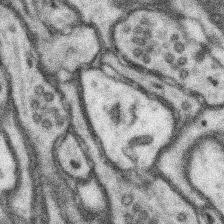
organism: Mouse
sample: Somatosensory cortex neuropil